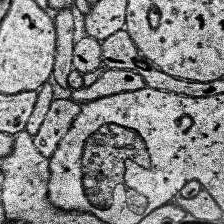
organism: Human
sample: Temporal Lobe